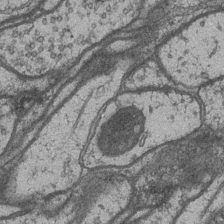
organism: Drosophila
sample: Optic medulla